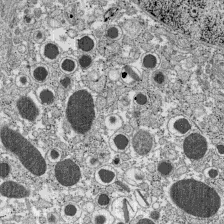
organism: C57BL Mouse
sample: Pancreatic islet